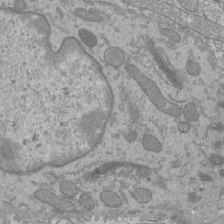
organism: Mouse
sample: Cilia; mouse epididymis